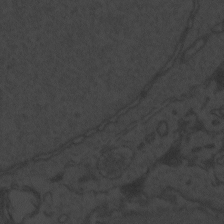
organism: Zebrafish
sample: Macrophage infected with Toxoplasma gondii